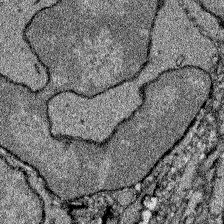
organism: Zebrafish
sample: Larval olfactory bulb